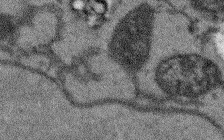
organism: Arabidopsis thaliana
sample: Root tip